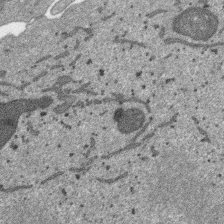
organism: Human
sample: Lung epithelial cells infected with SARS-CoV-2